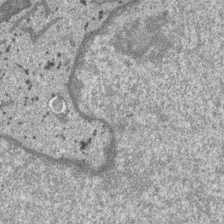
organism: Human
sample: Lung epithelial cells infected with SARS-CoV-2